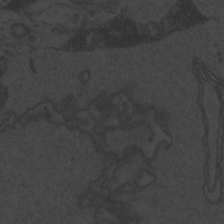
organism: Zebrafish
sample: Macrophage infected with Toxoplasma gondii